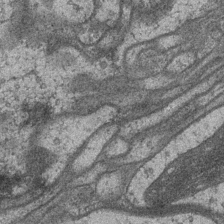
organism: Drosophila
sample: Optic medulla